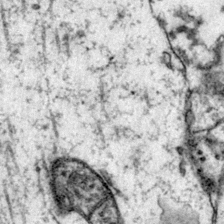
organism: Mouse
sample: Primary visual cortex